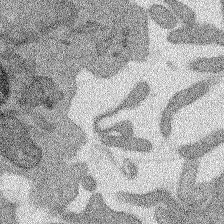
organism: Human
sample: HeLa cells